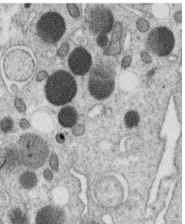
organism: C. elegans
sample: C. elegans oocyte; sperm cells